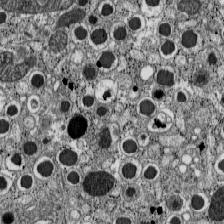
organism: C57BL Mouse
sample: Pancreatic islet